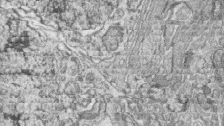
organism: Zebrafish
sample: synaptic ribbons in rod cells and cone cells